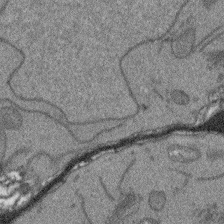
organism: Arabidopsis thaliana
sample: Root tip